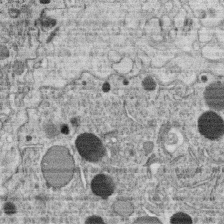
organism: C. elegans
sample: C. elegans oocyte; sperm cells